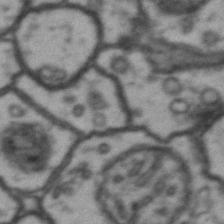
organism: Drosophila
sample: Brain